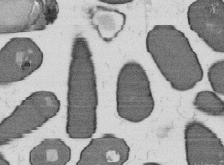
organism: B. subtilis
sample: Bacterial spore